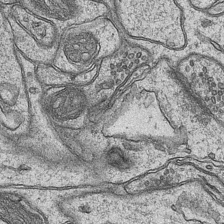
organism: Mouse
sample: CA1 Hippocampus